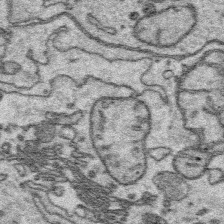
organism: Platynereis dumerilii